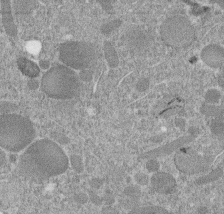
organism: C. elegans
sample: C. elegans embryo early stage